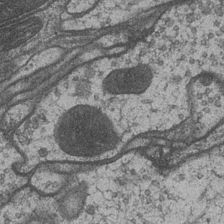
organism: Drosophila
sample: Optic medulla